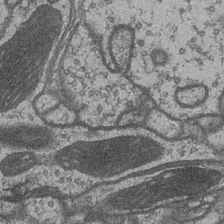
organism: Drosophila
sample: Optic medulla